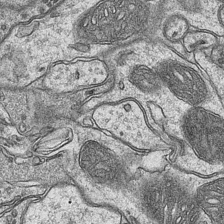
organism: Mouse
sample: CA1 Hippocampus